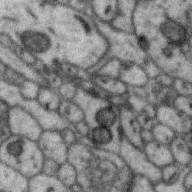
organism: Zebra finch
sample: Brain